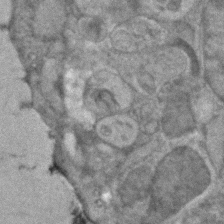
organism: Human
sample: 1205lu cells